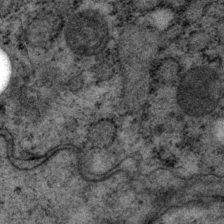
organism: P. pacificus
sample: Pharynx